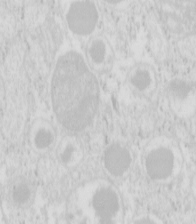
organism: Mouse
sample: Pancreas